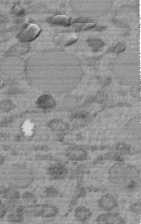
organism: C. elegans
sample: C. elegans embryo early stage